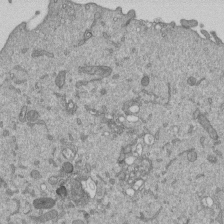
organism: Mouse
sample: ED-1 cell nuclei; centrioles